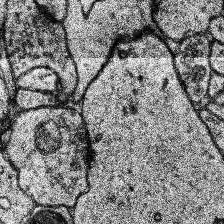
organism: Human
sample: Temporal Lobe